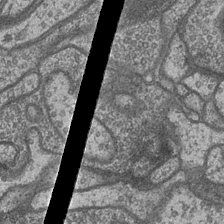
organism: Drosophila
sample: Optic medulla